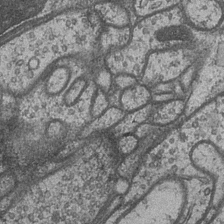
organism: Drosophila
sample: Optic medulla